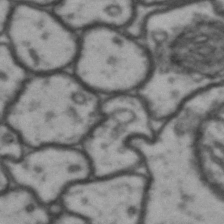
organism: Drosophila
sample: Brain